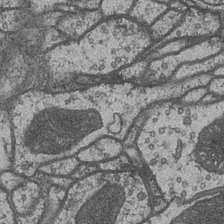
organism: Drosophila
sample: Optic medulla